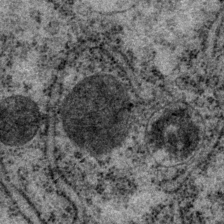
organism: P. pacificus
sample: Pharynx